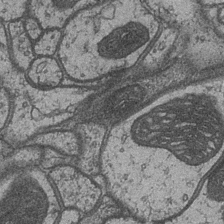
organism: Drosophila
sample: Optic medulla